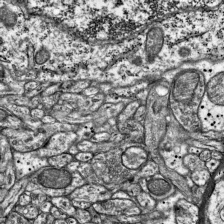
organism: Mouse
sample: Visual Cortex